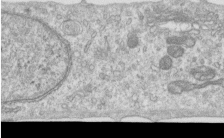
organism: Human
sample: Centriole in RPE cells